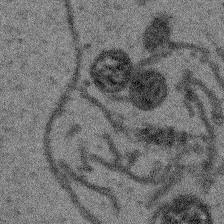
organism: Arabidopsis thaliana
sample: Root tip